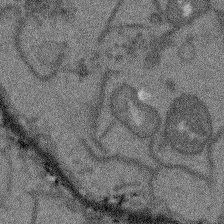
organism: Arabidopsis thaliana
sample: Root tip